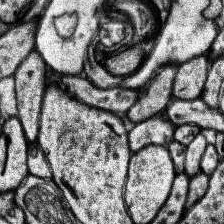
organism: Human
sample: Temporal Lobe